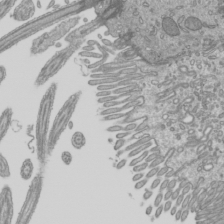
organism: Mouse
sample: Cilia; mouse epididymis